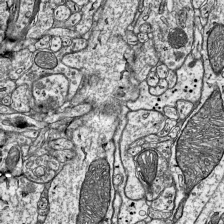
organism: Mouse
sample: Visual Cortex